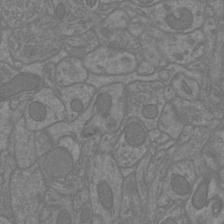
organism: Mouse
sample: Cortical neurons